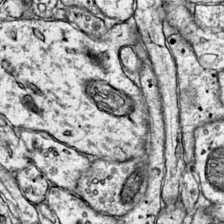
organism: Mouse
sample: Primary visual cortex